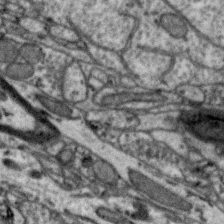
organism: Zebra finch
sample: Brain